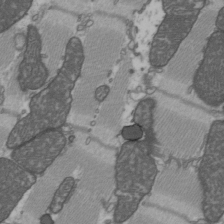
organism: C57BL Mouse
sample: Heart